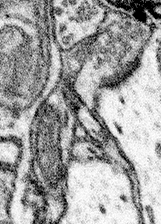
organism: Mouse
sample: Somatosensory cortex neuropil